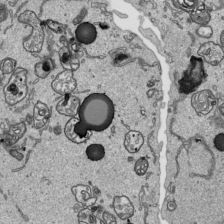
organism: Human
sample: Mitochondria in HCT116 cells